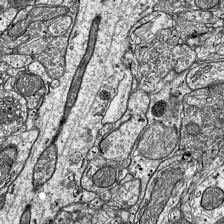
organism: Mouse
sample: Visual Cortex